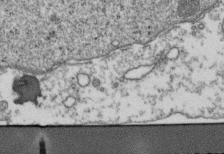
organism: Human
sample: Activated Jurkat CD4+ T cells